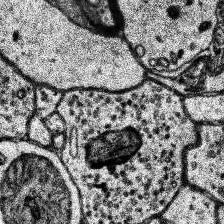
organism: Human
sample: Temporal Lobe